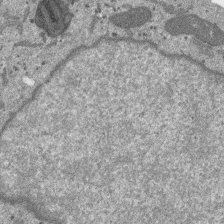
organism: Human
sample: Lung epithelial cells infected with SARS-CoV-2